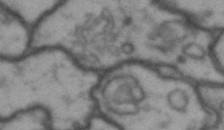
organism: Drosophila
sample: Brain